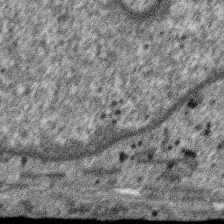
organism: Human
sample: Lung epithelial cells infected with SARS-CoV-2